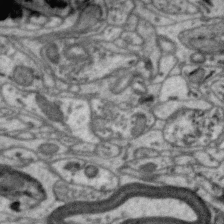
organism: Zebra finch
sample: Brain